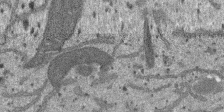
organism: Human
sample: Lung epithelial cells infected with SARS-CoV-2